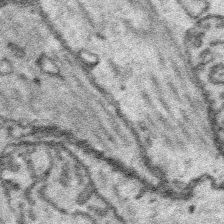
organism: Platynereis dumerilii